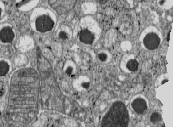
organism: C57BL Mouse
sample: Pancreatic islet